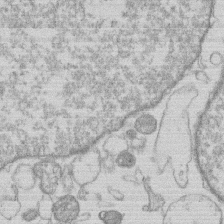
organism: Human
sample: Macrophage cells